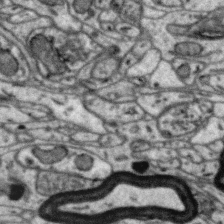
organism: Zebra finch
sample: Brain